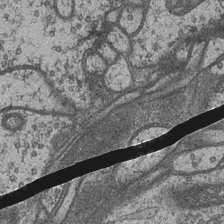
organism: Drosophila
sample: Optic medulla